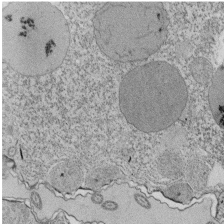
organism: Tetrahymena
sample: Cilia in tetrahymena